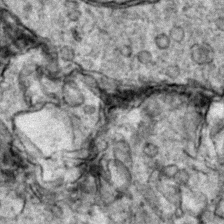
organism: Zebrafish